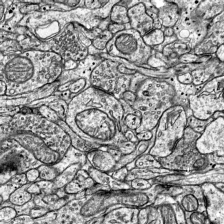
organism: Mouse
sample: Visual Cortex